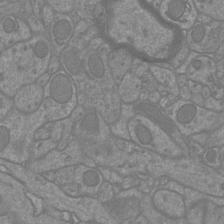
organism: Mouse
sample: Cortical neurons